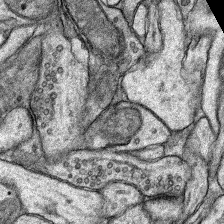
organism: Rat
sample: Hippocampus